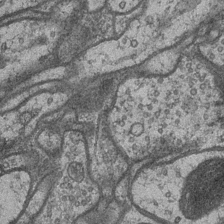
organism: Drosophila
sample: Optic medulla